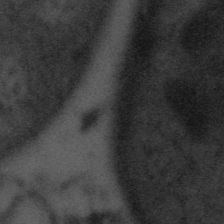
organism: Tuwongella immobilis